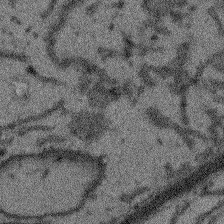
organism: Arabidopsis thaliana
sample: Root tip